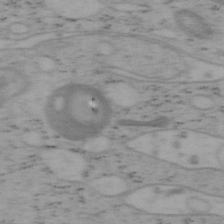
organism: Mouse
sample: OT-I killer T cells with ID8 ovarian cancer cells